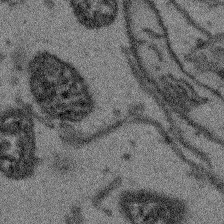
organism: Arabidopsis thaliana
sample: Root tip